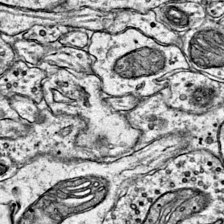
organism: Mouse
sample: Primary visual cortex